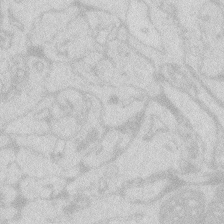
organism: Zebrafish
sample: Macrophage